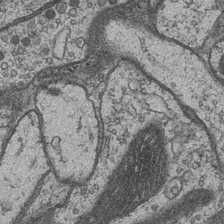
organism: Drosophila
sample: Optic medulla